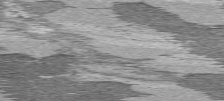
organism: C57BL Mouse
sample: Heart